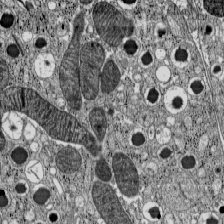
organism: C57BL Mouse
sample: Pancreatic islet